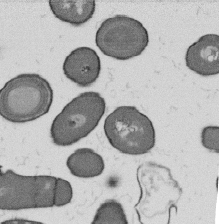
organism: B. subtilis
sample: Bacterial spore